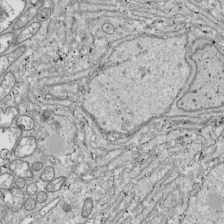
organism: Drosophila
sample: Cell division; meiosis; drosophila spermatocytes